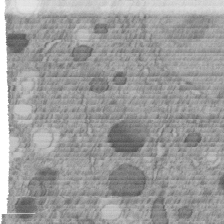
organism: C. elegans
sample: C. elegans embryo early stage